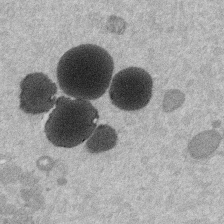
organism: Mouse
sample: Dividing mouse embryo 1 cell stage